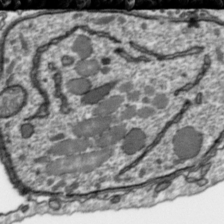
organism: Toxoplasma gondii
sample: Parasites in a vacuole inside a host cell